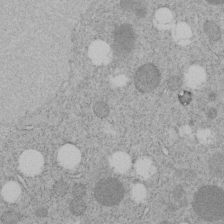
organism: C. elegans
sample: C. elegans embryo early stage